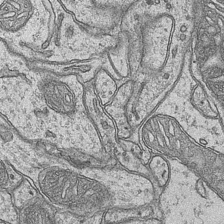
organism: Mouse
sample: CA1 Hippocampus